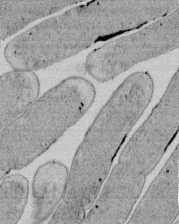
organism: E. coli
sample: Bacterial nucleoid